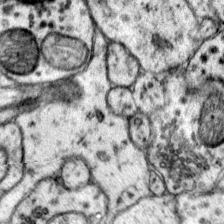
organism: Mouse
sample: Primary visual cortex